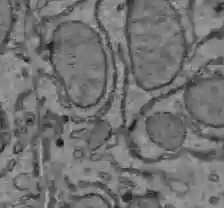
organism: C57BL Mouse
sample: Liver